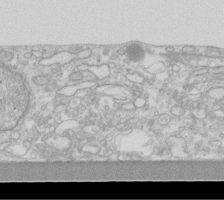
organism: Human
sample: Fibroblast cells